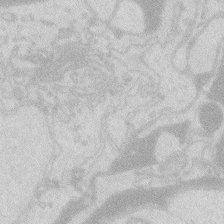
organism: Zebrafish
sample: Macrophage